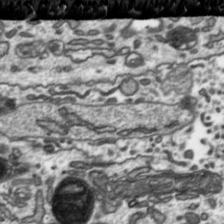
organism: Toxoplasma gondii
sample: Parasites in a vacuole inside a host cell